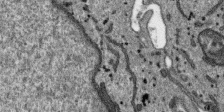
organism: Human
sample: Lung epithelial cells, uninfected (mock) control